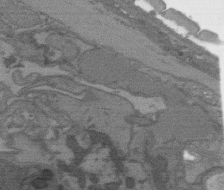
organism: C. elegans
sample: AFD neurons C. elegans